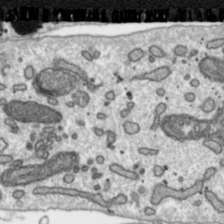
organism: Toxoplasma gondii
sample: Parasites in a vacuole inside a host cell